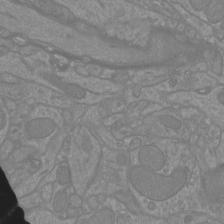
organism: Mouse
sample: Cortical neurons